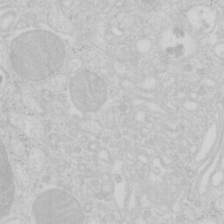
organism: Mouse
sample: Pancreas